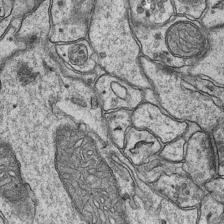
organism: Mouse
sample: CA1 Hippocampus